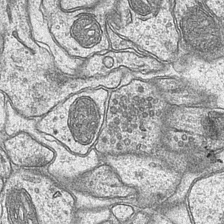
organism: Mouse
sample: CA1 Hippocampus